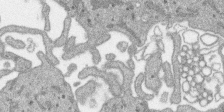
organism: Human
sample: Lung epithelial cells infected with SARS-CoV-2